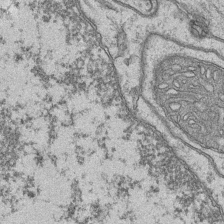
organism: Mouse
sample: CA1 Hippocampus